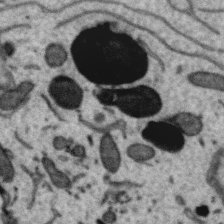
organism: Zebra finch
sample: Brain